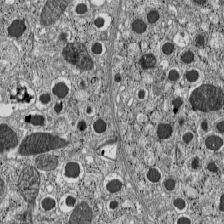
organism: C57BL Mouse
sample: Pancreatic islet